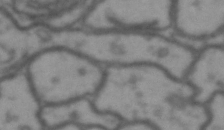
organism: Drosophila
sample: Brain